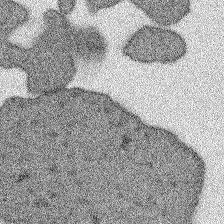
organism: Human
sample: HeLa cells